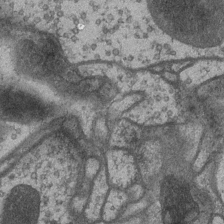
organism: Drosophila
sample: Optic medulla